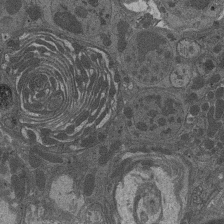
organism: Drosophila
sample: Antenna